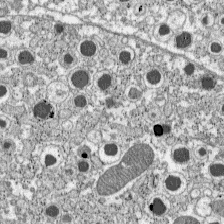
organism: C57BL Mouse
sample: Pancreatic islet